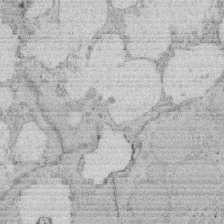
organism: Rat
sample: Salivary granule